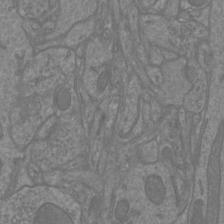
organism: Mouse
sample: Cortical neurons